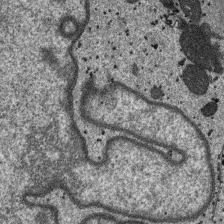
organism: Human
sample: Lung epithelial cells infected with SARS-CoV-2